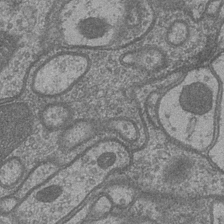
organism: Drosophila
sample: Optic medulla